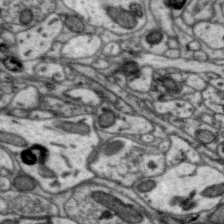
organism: Zebra finch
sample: Brain